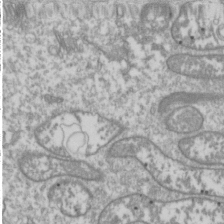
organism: Drosophila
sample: Cell division; meiosis; drosophila spermatocytes